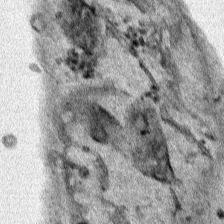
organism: Human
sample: Mitochondria in HCT116 cells